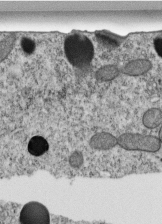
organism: C. elegans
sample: C. elegans embryo early stage